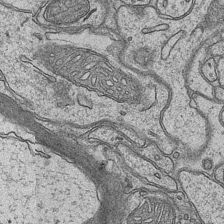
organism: Mouse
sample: CA1 Hippocampus